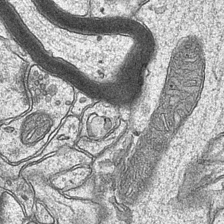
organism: Mouse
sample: CA1 Hippocampus